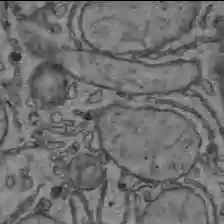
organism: C57BL Mouse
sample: Liver